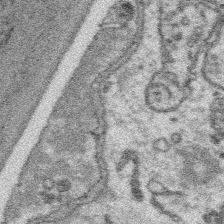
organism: Platynereis dumerilii